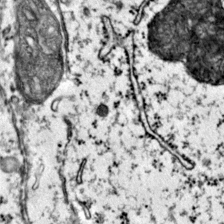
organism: Mouse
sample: Primary visual cortex